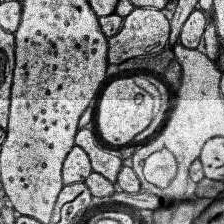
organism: Human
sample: Temporal Lobe